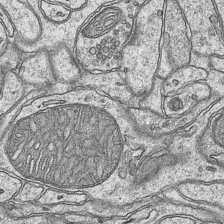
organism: Mouse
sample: CA1 Hippocampus